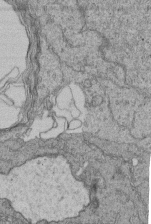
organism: Human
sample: Retinal organoid Rod and Cone cells